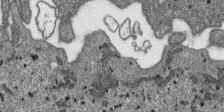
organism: Human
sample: Lung epithelial cells infected with SARS-CoV-2